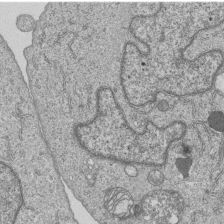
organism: Human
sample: MDA-MB-231 cells